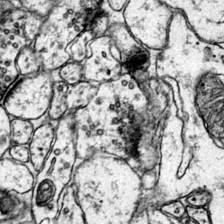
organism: Mouse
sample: Primary visual cortex